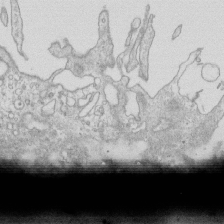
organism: Mouse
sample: Macrophages